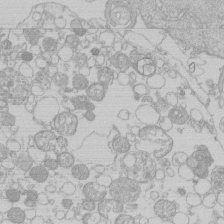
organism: Human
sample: Macrophage cells